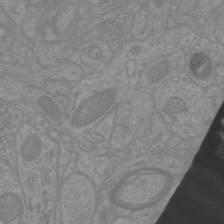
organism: Mouse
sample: Cortical neurons